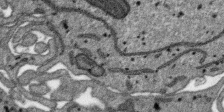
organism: Human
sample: Lung epithelial cells, uninfected (mock) control